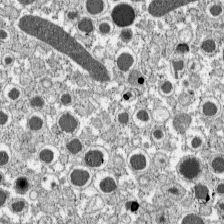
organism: C57BL Mouse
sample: Pancreatic islet